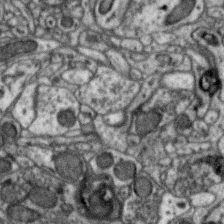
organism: Zebra finch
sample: Brain